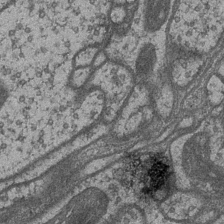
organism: Drosophila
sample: Optic medulla